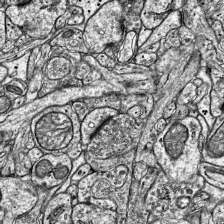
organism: Mouse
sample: Visual Cortex